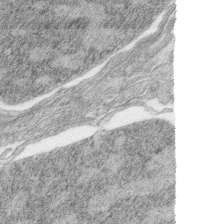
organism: Zebrafish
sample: synaptic ribbons in rod cells and cone cells